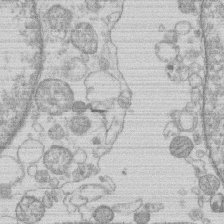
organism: Human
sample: Macrophage cells